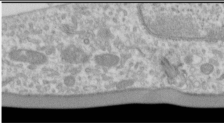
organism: Human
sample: Cilia; basal body in RPE cells